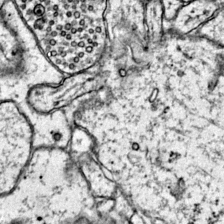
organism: Mouse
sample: Primary visual cortex